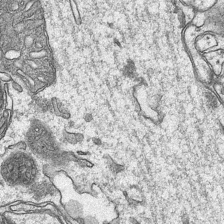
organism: Mouse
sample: CA1 Hippocampus